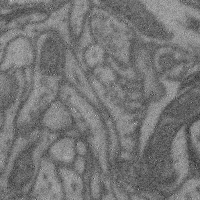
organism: Mouse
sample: Cerebral cortex